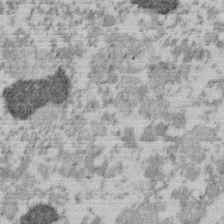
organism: Mouse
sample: Dividing mouse embryo 1 cell stage